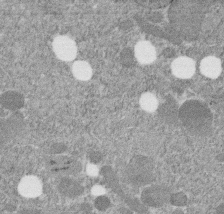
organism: C. elegans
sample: C. elegans embryo early stage